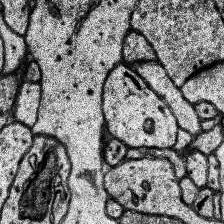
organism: Human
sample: Temporal Lobe